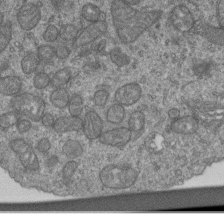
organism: Human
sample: Retinal organoid Rod and Cone cells